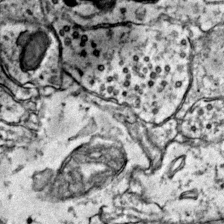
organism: Mouse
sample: Primary visual cortex